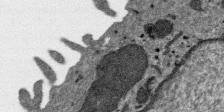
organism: Human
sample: Lung epithelial cells, uninfected (mock) control